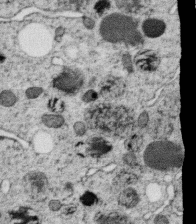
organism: C. elegans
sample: C. elegans oocyte; sperm cells